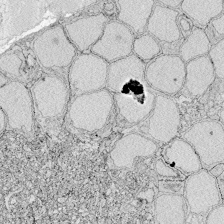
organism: Zebrafish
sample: Whole-Brain